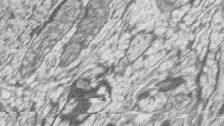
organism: Zebrafish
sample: synaptic ribbons in rod cells and cone cells